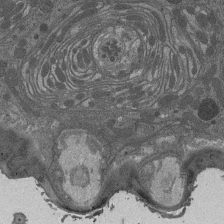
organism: Drosophila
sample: Antenna